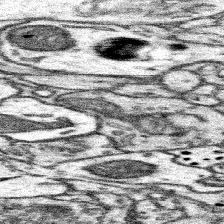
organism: Mouse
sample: Somatosensory cortex neuropil